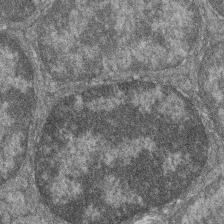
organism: Zebrafish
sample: Cilia; retinal pigment epithelium